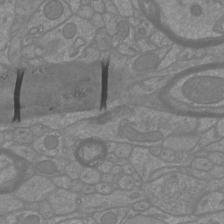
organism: Mouse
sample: Cortical neurons